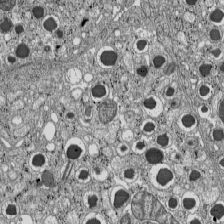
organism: C57BL Mouse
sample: Pancreatic islet